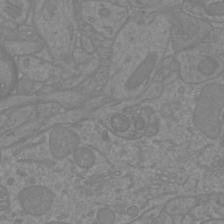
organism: Mouse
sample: Cortical neurons